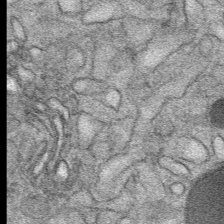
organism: Mouse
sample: Mouse Salivary gland